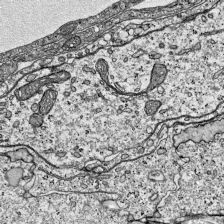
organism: Mouse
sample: Visual Cortex